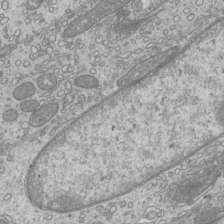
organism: Mouse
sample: Cilia; mouse epididymis